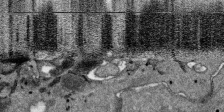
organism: Human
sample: Lung epithelial cells, uninfected (mock) control